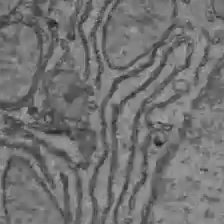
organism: C57BL Mouse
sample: Liver